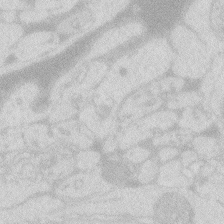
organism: Zebrafish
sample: Macrophage